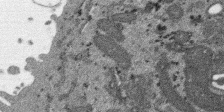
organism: Human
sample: Lung epithelial cells infected with SARS-CoV-2